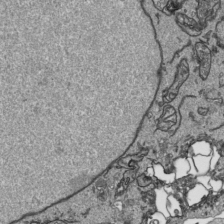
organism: Human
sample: Mitochondria in HCT116 cells